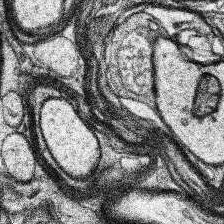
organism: Human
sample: Temporal Lobe